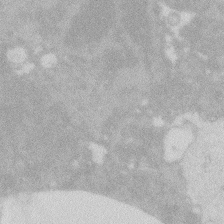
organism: Zebrafish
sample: Macrophage